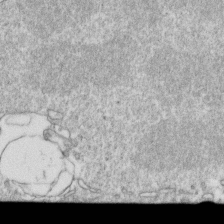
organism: Mouse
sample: Activated OT-1 CD8+ T cells